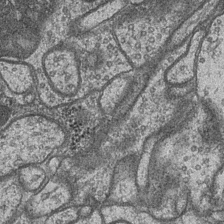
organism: Drosophila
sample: Optic medulla